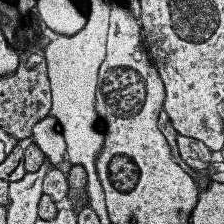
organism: Human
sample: Temporal Lobe